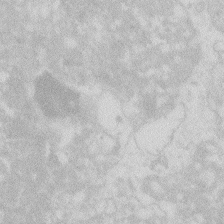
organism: Zebrafish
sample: Macrophage